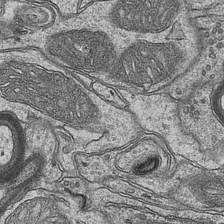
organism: Mouse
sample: CA1 Hippocampus